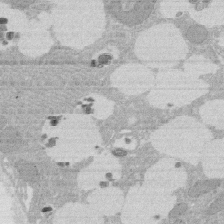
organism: Rat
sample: Salivary granule